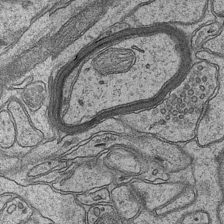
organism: Mouse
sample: CA1 Hippocampus